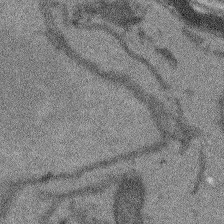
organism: Arabidopsis thaliana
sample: Root tip